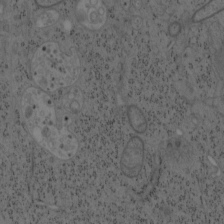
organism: Mouse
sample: OT-I killer T cells with ID8 ovarian cancer cells